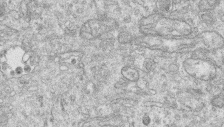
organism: Human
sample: HeLa cell HIV synapse